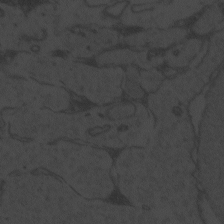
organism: Zebrafish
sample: Macrophage infected with Toxoplasma gondii